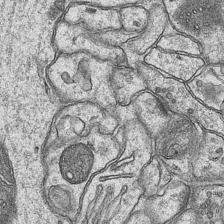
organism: Mouse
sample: CA1 Hippocampus